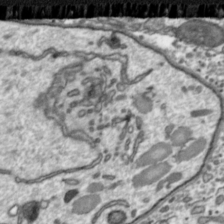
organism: Toxoplasma gondii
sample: Parasites in a vacuole inside a host cell